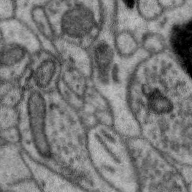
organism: Zebra finch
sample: Brain